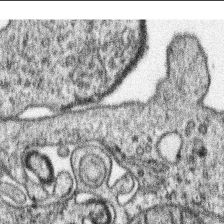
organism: Human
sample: HeLa cells